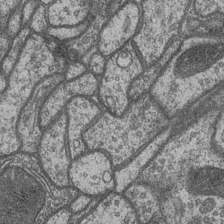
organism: Drosophila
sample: Optic medulla